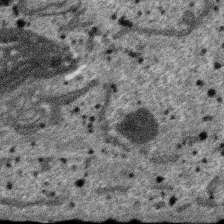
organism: Human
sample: Lung epithelial cells infected with SARS-CoV-2